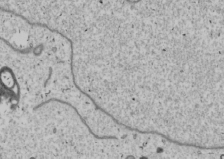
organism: Human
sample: Mitochondria in U2OS cells